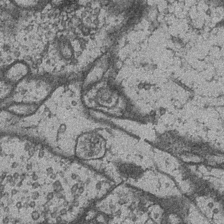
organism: Drosophila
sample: Optic medulla